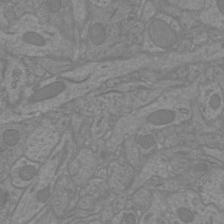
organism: Mouse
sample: Cortical neurons